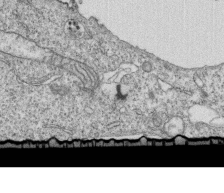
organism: Human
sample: HeLa cell HIV synapse